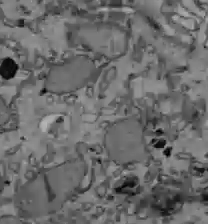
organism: C57BL Mouse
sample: Liver